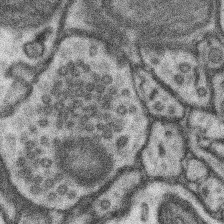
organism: Mouse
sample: Somatosensory cortex neuropil